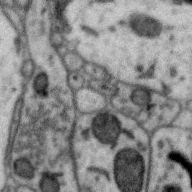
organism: Zebra finch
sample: Brain